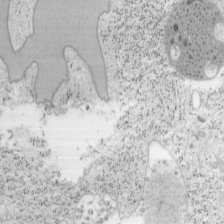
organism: Mouse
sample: OT-I killer T cells with ID8 ovarian cancer cells